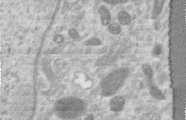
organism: Human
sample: Centriole in RPE cells